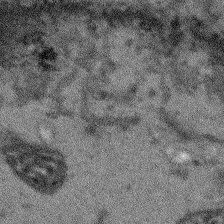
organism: Arabidopsis thaliana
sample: Root tip